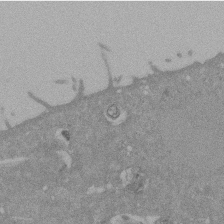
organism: Mouse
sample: ED-1 cell nuclei; centrioles